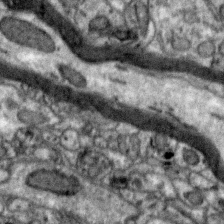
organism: Zebra finch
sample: Brain